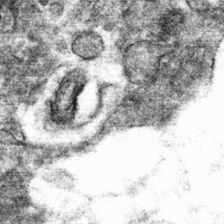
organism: Mouse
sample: Mouse hepatocytes